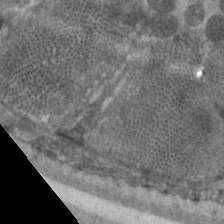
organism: C. elegans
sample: Pharynx